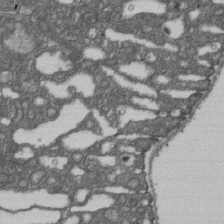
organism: Drosophila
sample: Nephrocyte